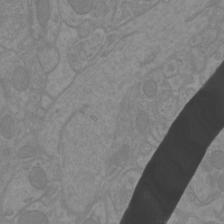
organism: Mouse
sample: Cortical neurons